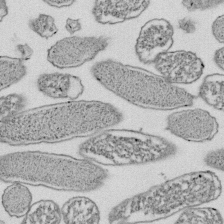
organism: E. coli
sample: Bacterial nucleoid